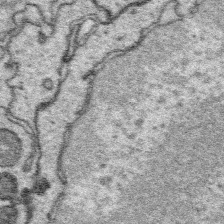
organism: Platynereis dumerilii